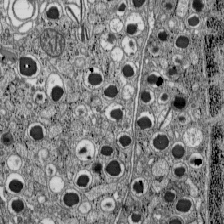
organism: C57BL Mouse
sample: Pancreatic islet